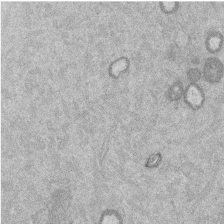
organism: Mouse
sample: Dividing mouse embryo 1 cell stage